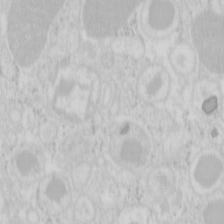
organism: Mouse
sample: Pancreas